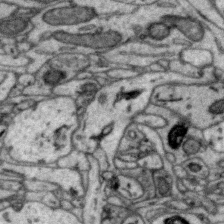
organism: Zebra finch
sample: Brain